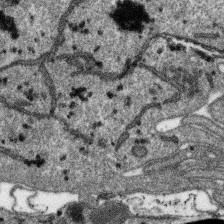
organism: Human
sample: Lung epithelial cells infected with SARS-CoV-2